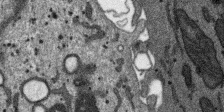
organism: Human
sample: Lung epithelial cells infected with SARS-CoV-2